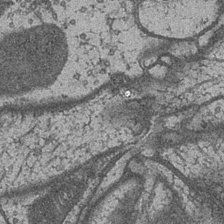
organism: Drosophila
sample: Optic medulla